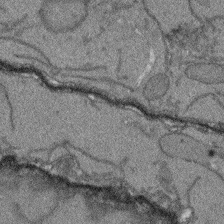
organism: Arabidopsis thaliana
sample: Root tip